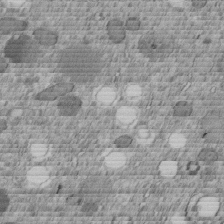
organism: C. elegans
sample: C. elegans embryo early stage